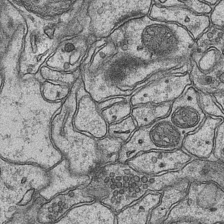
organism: Mouse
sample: CA1 Hippocampus